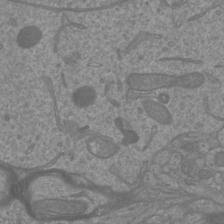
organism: Mouse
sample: Cortical neurons